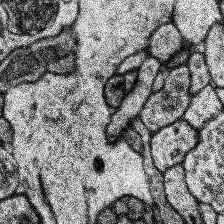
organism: Human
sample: Temporal Lobe